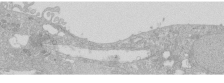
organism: Human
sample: Caco-2 cells